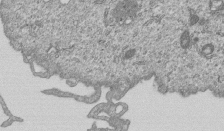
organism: Human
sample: MDA-MB-231 cells